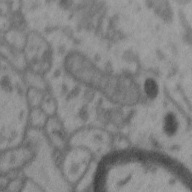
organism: Zebra finch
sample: Brain